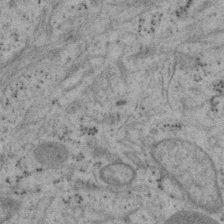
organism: Human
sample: HeLa cells